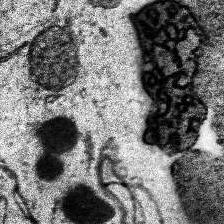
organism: Human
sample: Temporal Lobe